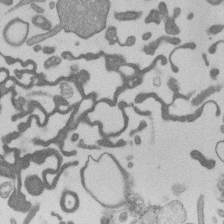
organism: Mouse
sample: Dividing mouse embryo 1 cell stage